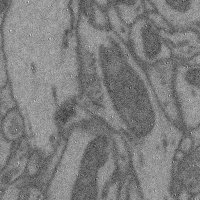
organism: Mouse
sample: Cerebral cortex